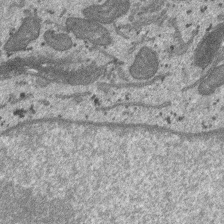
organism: Human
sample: Lung epithelial cells infected with SARS-CoV-2